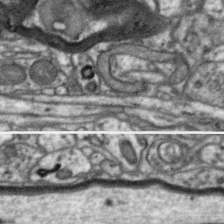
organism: Zebra finch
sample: Brain